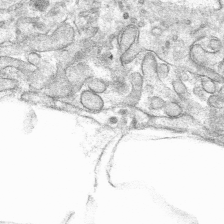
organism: Mouse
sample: Mouse hepatocytes